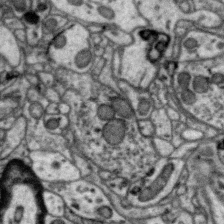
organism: Zebra finch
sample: Brain